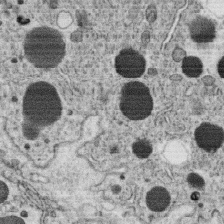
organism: C. elegans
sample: C. elegans oocyte; sperm cells